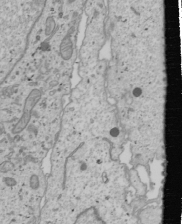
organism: Human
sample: Mitochondria in U2OS cells